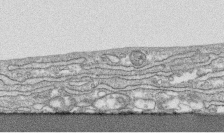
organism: Human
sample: CRL-1474